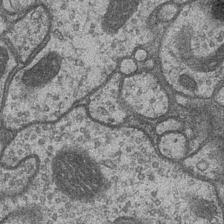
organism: Drosophila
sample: Optic medulla